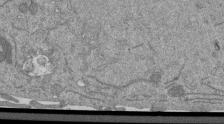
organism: Mouse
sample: ED-1 cell nuclei; centrioles